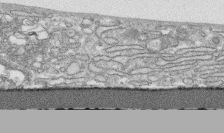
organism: Human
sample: CRL-1474